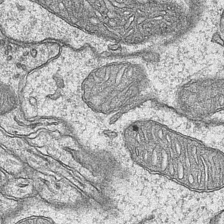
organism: Mouse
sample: CA1 Hippocampus